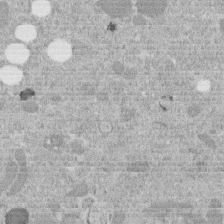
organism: C. elegans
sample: C. elegans embryo early stage